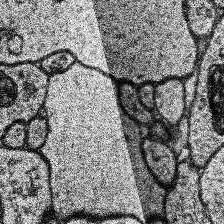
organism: Human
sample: Temporal Lobe